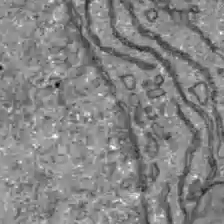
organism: C57BL Mouse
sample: Liver